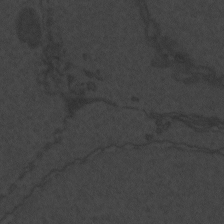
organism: Zebrafish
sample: Macrophage infected with Toxoplasma gondii